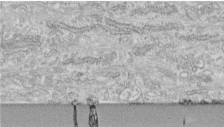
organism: Human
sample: Centriole in fibroblast cells